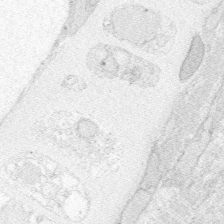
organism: Zebrafish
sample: Whole-Brain